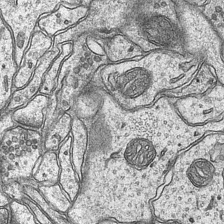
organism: Mouse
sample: CA1 Hippocampus